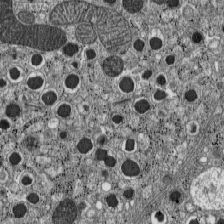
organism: C57BL Mouse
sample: Pancreatic islet